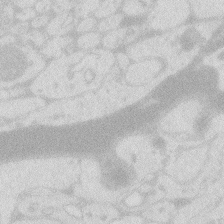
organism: Zebrafish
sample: Macrophage